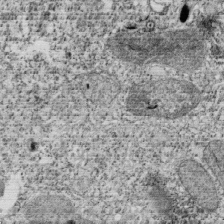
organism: Tetrahymena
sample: Cilia in tetrahymena